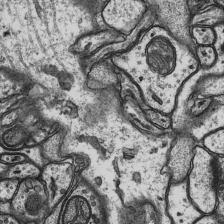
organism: Rat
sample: Hippocampus